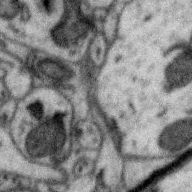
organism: Zebra finch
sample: Brain